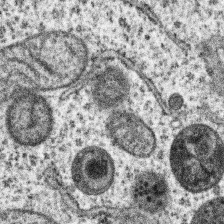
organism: Human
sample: HeLa cells